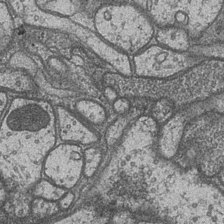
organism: Drosophila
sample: Optic medulla